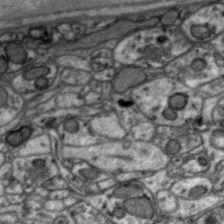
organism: Zebra finch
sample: Brain